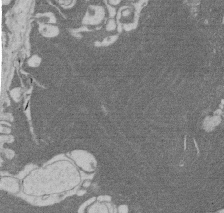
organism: Rat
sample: Salivary granule